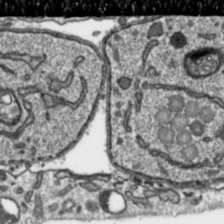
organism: Toxoplasma gondii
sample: Parasites in a vacuole inside a host cell